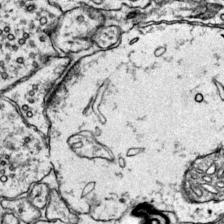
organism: Mouse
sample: Primary visual cortex